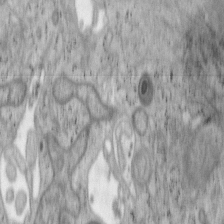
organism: Human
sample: HeLa cells